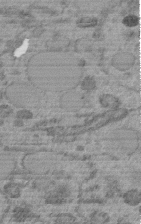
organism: C. elegans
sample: C. elegans embryo early stage